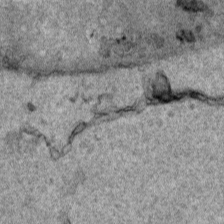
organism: Human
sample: Mitochondria in HCT116 cells